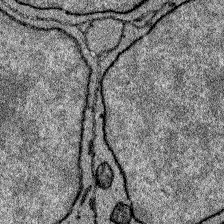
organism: Zebrafish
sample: Larval olfactory bulb